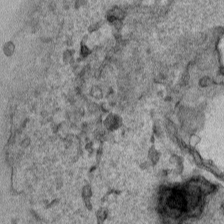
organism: Human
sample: Mitochondria in HCT116 cells